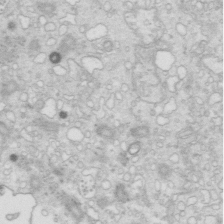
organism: Mouse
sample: Multiciliated cells